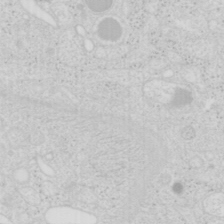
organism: Mouse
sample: Pancreas